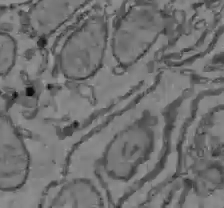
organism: C57BL Mouse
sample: Liver